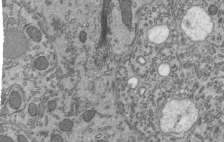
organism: Mouse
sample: Mouse epididymis efferent ductule cilia